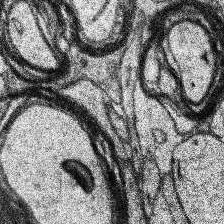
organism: Human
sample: Temporal Lobe